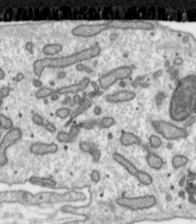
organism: Toxoplasma gondii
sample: Parasites in a vacuole inside a host cell